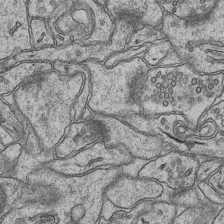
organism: Mouse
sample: CA1 Hippocampus